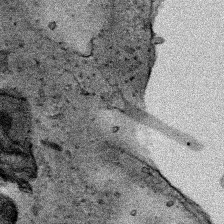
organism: Human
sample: Mitochondria in HCT116 cells